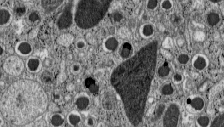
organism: C57BL Mouse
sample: Pancreatic islet